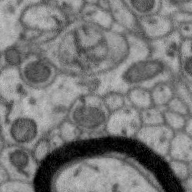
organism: Zebra finch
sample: Brain